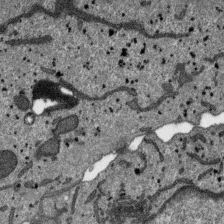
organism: Human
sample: Lung epithelial cells, uninfected (mock) control